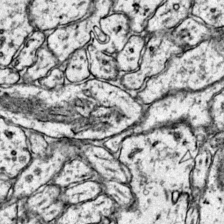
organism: Mouse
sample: Primary visual cortex